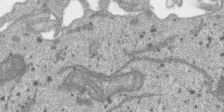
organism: Human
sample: Lung epithelial cells infected with SARS-CoV-2